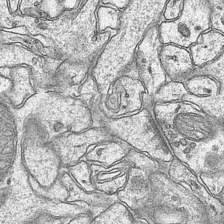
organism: Mouse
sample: CA1 Hippocampus